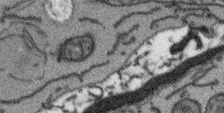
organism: Arabidopsis thaliana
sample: Root tip